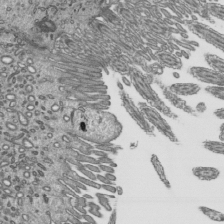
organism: Mouse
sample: Mouse epididymis efferent ductule cilia